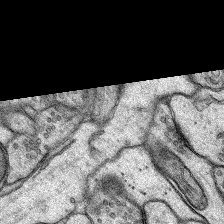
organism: Rat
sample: Hippocampus